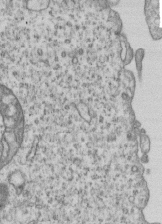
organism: Human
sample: MDA-MB-231 cells